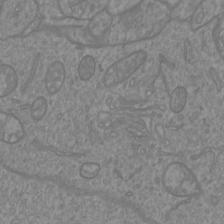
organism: Mouse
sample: Cortical neurons